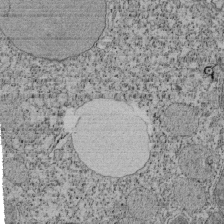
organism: Tetrahymena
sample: Cilia in tetrahymena